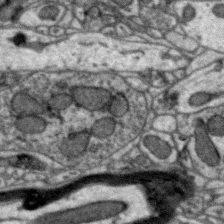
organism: Zebra finch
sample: Brain